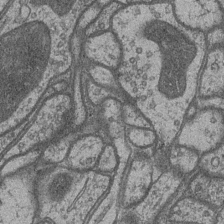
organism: Drosophila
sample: Optic medulla